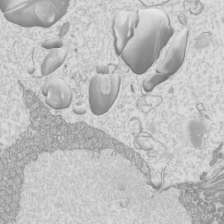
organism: Mouse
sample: Cilia; mouse epididymis